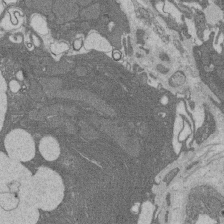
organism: Rat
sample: Salivary granule